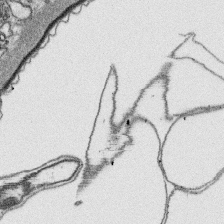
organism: Platynereis dumerilii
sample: Parapodia